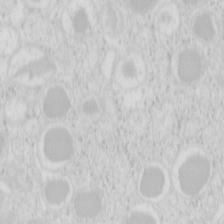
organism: Mouse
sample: Pancreas